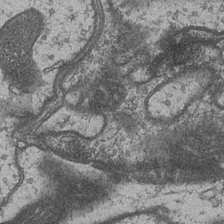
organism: Drosophila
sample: Optic medulla